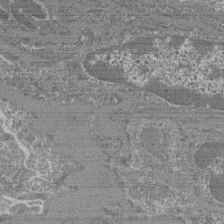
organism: Mouse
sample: Glomerulus